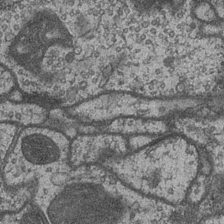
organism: Drosophila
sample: Optic medulla